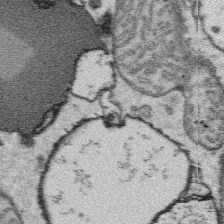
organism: Platynereis dumerilii